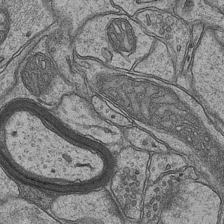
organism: Mouse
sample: CA1 Hippocampus